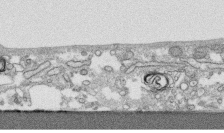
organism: Human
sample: CRL-1474